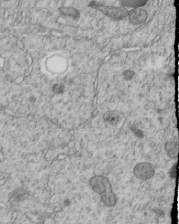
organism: C. elegans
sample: C. elegans embryo early stage